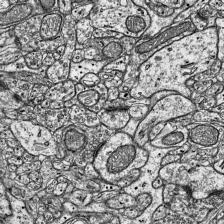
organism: Mouse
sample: Visual Cortex